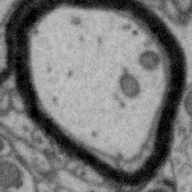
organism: Zebra finch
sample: Brain